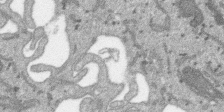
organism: Human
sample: Lung epithelial cells infected with SARS-CoV-2